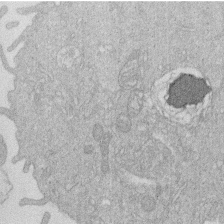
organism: Human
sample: Macrophage cells